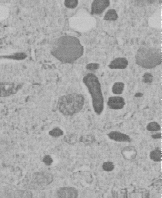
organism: C. elegans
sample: C. elegans embryo early stage